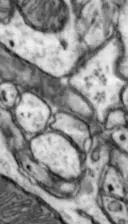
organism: Mouse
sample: Nucleus accumbens